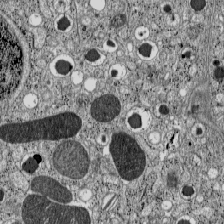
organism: C57BL Mouse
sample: Pancreatic islet